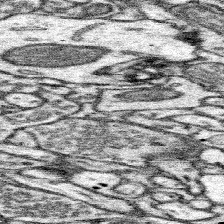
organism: Mouse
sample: Somatosensory cortex neuropil